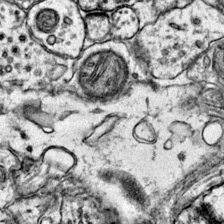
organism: Mouse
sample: Primary visual cortex